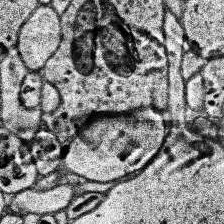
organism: Human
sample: Temporal Lobe